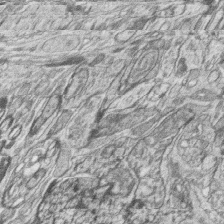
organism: Zebrafish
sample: synaptic ribbons in rod cells and cone cells